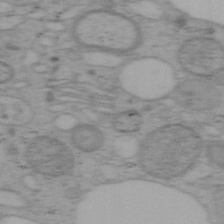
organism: Mouse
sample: OT-I killer T cells with ID8 ovarian cancer cells